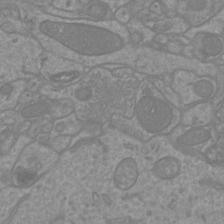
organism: Mouse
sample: Cortical neurons